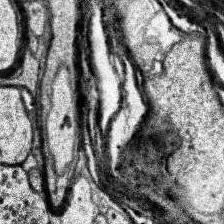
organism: Human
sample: Temporal Lobe